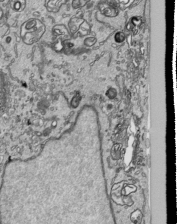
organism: Human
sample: Mitochondria in HCT116 cells